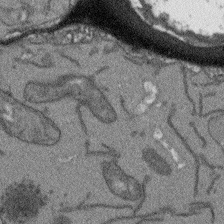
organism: Arabidopsis thaliana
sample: Root tip